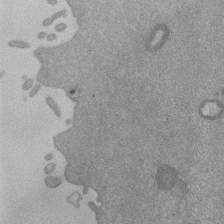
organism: Mouse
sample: Dividing mouse embryo 1 cell stage